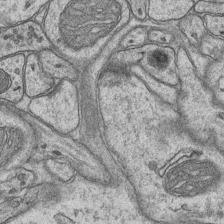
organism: Mouse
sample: CA1 Hippocampus